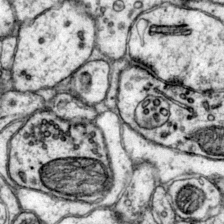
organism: Mouse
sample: Primary visual cortex